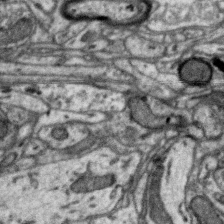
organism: Zebra finch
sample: Brain